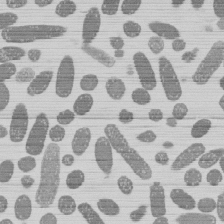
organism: E. coli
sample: Bacterial nucleoid